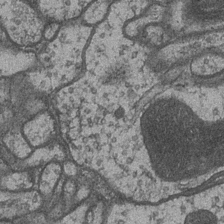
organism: Drosophila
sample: Optic medulla